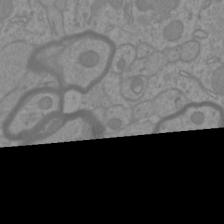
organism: Mouse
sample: Cortical neurons